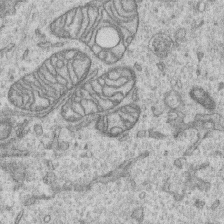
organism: Human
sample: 1205lu cells